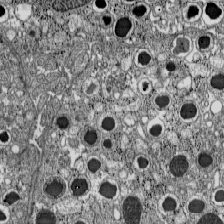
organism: C57BL Mouse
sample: Pancreatic islet